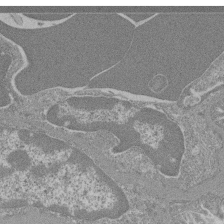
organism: Mouse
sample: Glomerulus